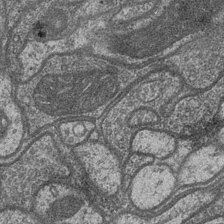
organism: Drosophila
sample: Optic medulla